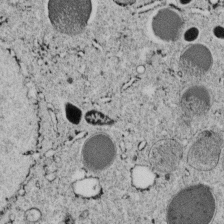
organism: C. elegans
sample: C. elegans embryo early stage